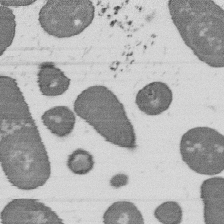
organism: B. subtilis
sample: Bacterial spore